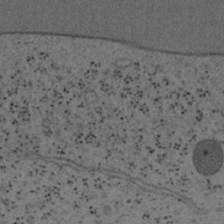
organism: Human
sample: HeLa cells